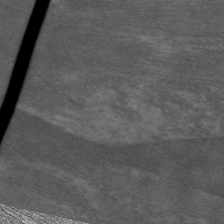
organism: C. elegans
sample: Pharynx